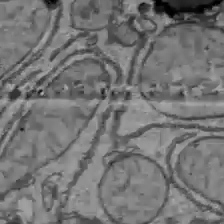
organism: C57BL Mouse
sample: Liver